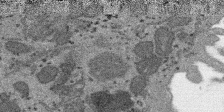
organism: Human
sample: Lung epithelial cells infected with SARS-CoV-2